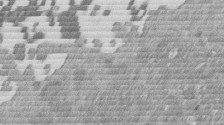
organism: Mouse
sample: Dividing mouse embryo 1 cell stage